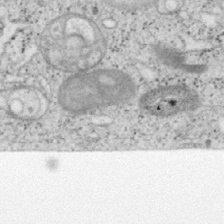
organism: Mouse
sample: OT-I killer T cells with ID8 ovarian cancer cells